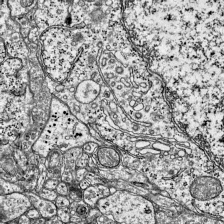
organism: Mouse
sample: Visual Cortex